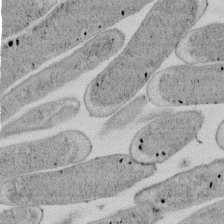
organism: E. coli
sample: Bacterial nucleoid